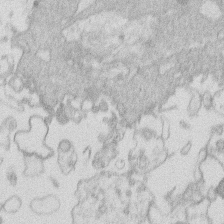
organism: Human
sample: Macrophage cells